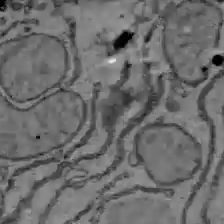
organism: C57BL Mouse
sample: Liver